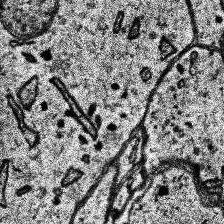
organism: Human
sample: Temporal Lobe